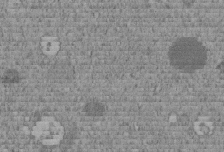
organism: C. elegans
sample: C. elegans embryo early stage